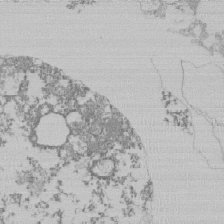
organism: Mouse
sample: Activated Pmel transgenic CD8+ T Cells